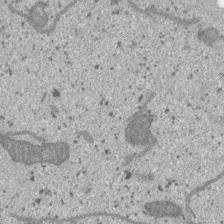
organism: Human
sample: Lung epithelial cells infected with SARS-CoV-2